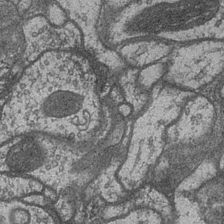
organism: Drosophila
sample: Optic medulla